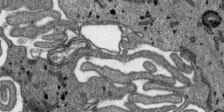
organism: Human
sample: Lung epithelial cells, uninfected (mock) control